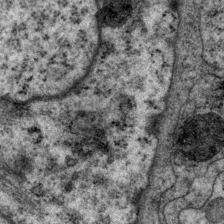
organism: P. pacificus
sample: Pharynx